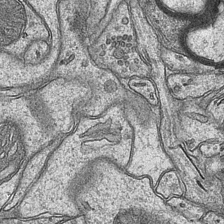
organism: Mouse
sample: CA1 Hippocampus